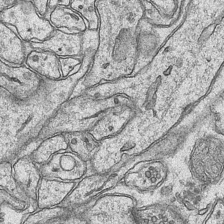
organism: Mouse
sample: CA1 Hippocampus